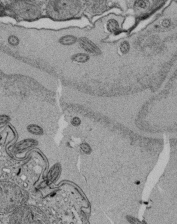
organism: Tetrahymena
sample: Cilia in tetrahymena